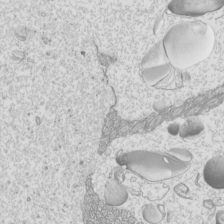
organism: Mouse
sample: Cilia; mouse epididymis